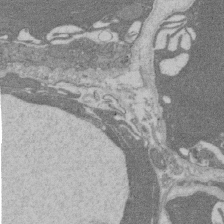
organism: Rat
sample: Salivary granule